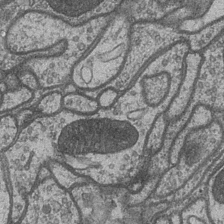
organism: Drosophila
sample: Optic medulla